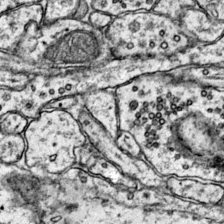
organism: Mouse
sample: Primary visual cortex